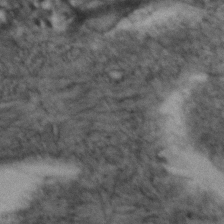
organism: Zebrafish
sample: Zebrafish embryo